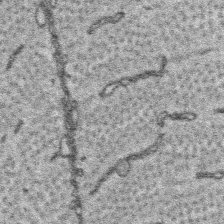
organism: Platynereis dumerilii